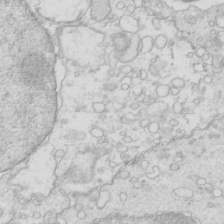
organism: Mouse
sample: Multiciliated cells